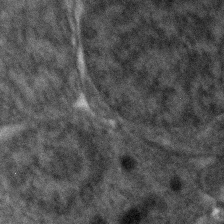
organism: Zebrafish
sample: Zebrafish embryo